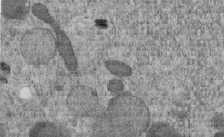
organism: C. elegans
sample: C. elegans embryo early stage